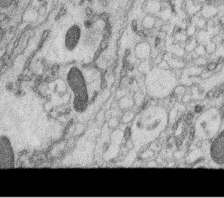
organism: C. elegans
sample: C. elegans oocyte; sperm cells